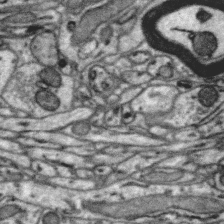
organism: Zebra finch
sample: Brain